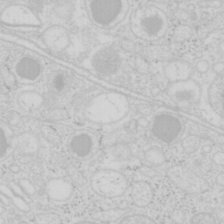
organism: Mouse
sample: Pancreas